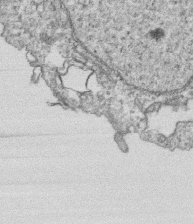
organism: Human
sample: HeLa cell HIV synapse